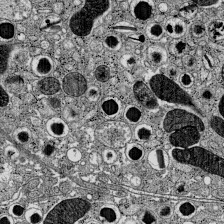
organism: C57BL Mouse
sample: Pancreatic islet